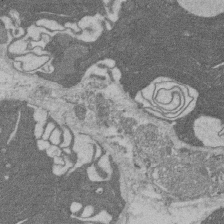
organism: Rat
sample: Salivary granule